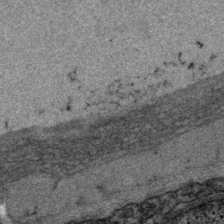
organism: P. pacificus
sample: Pharynx